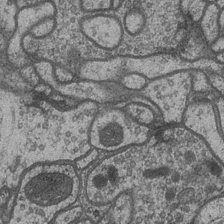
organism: Drosophila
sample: Optic medulla